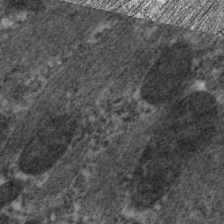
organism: C. elegans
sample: Pharynx